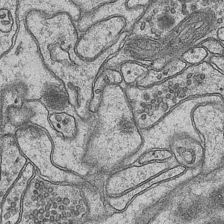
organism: Mouse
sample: CA1 Hippocampus